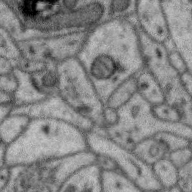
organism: Zebra finch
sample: Brain